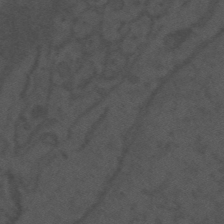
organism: Mouse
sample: Suprachiasmatic nucleus